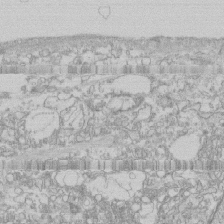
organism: Human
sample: CRL-1474